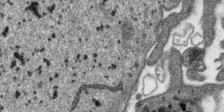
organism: Human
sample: Lung epithelial cells infected with SARS-CoV-2